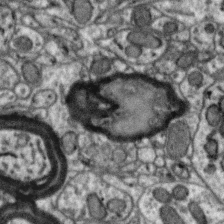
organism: Zebra finch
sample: Brain